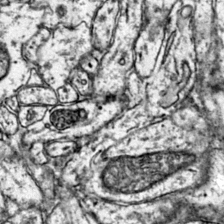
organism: Mouse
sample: Primary visual cortex